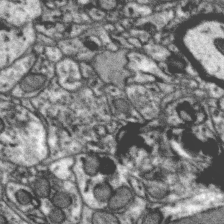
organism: Zebra finch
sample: Brain